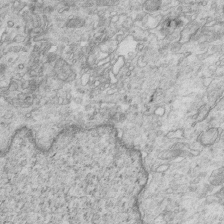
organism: Mouse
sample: Multiciliated cells